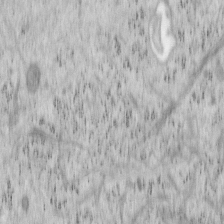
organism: Human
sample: HeLa cells